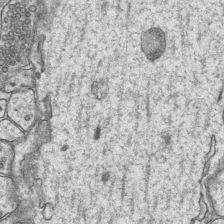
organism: Mouse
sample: CA1 Hippocampus